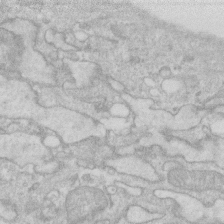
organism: Human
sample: Fibroblast cells